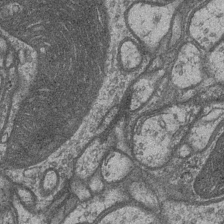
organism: Drosophila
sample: Optic medulla